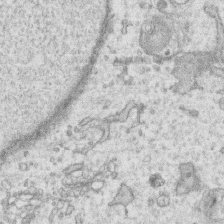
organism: Human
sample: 1205lu cells